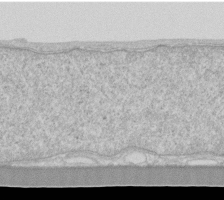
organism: Human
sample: Fibroblast cells